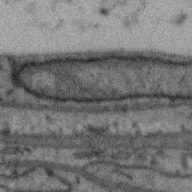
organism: Zebra finch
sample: Brain